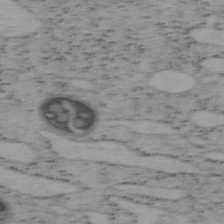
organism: Mouse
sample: OT-I killer T cells with ID8 ovarian cancer cells